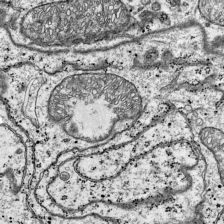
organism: Mouse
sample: Visual Cortex